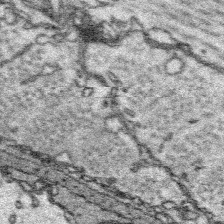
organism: Platynereis dumerilii